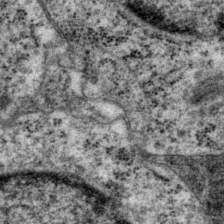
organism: P. pacificus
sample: Pharynx